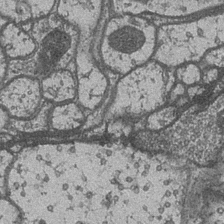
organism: Drosophila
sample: Optic medulla